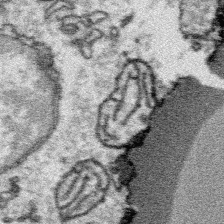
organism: Platynereis dumerilii